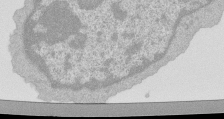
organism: Mouse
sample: Activated Pmel transgenic CD8+ T Cells